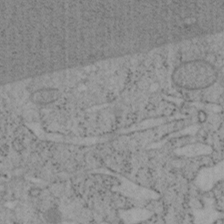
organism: Mouse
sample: OT-I killer T cells with ID8 ovarian cancer cells